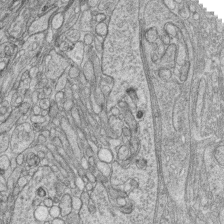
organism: Zebrafish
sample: synaptic ribbons in rod cells and cone cells